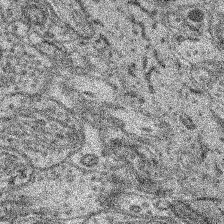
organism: Mouse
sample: Retina